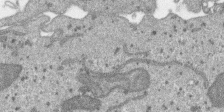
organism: Human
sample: Lung epithelial cells infected with SARS-CoV-2